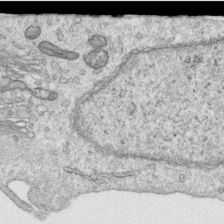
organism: Human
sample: Centriole in RPE cells